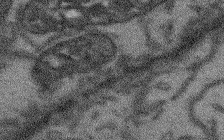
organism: Arabidopsis thaliana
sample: Root tip